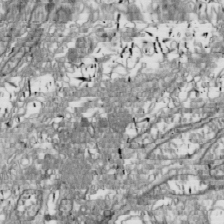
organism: Drosophila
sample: Cell division; meiosis; drosophila spermatocytes